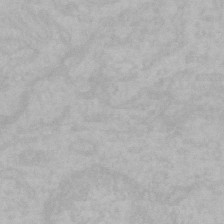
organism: Mouse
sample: Choroid plexus